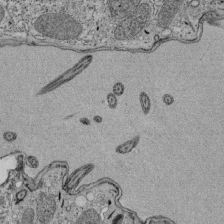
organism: Tetrahymena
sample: Cilia in tetrahymena